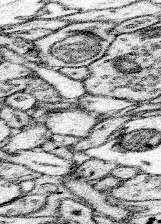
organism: Mouse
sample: Somatosensory cortex neuropil